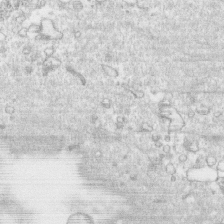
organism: Human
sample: CRL-1474